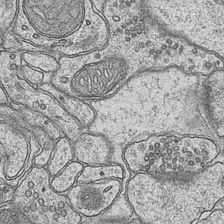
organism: Mouse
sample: CA1 Hippocampus